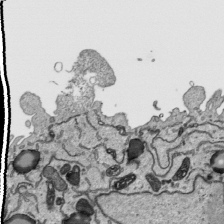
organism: Human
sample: Mitochondria in HCT116 cells